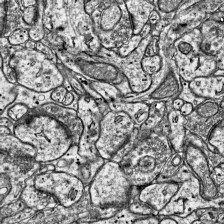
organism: Mouse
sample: Visual Cortex